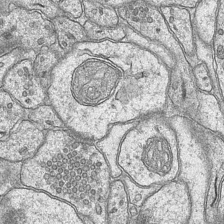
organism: Mouse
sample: CA1 Hippocampus